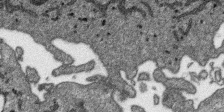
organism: Human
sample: Lung epithelial cells infected with SARS-CoV-2